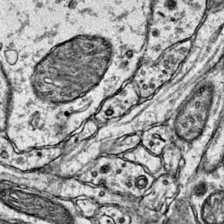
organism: Mouse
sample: Primary visual cortex